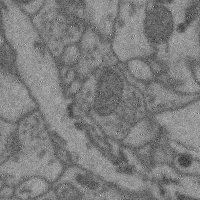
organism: Mouse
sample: Cerebral cortex